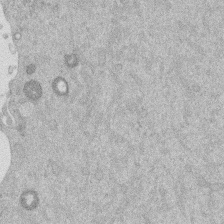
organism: Mouse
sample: Dividing mouse embryo 1 cell stage